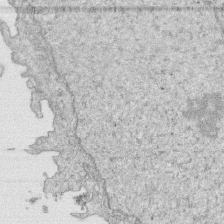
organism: Human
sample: HeLa cell HIV synapse